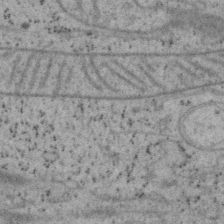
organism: Human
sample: HeLa cells